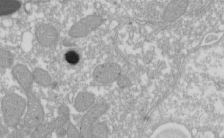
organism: Xenopus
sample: Cilia; centrioles in frog embryo cells